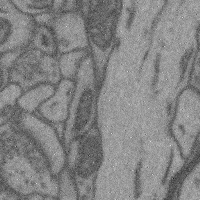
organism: Mouse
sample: Cerebral cortex